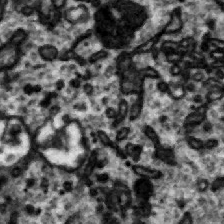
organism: Human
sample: HeLa cells